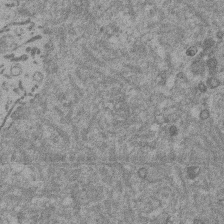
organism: Mouse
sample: Dividing mouse embryo 1 cell stage